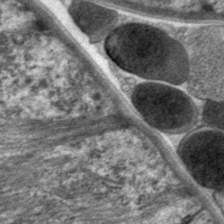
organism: C. elegans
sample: Pharynx